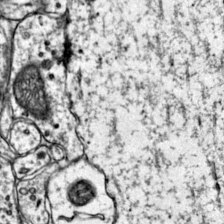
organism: Mouse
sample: Primary visual cortex